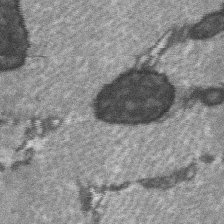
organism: C57BL Mouse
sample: Soleus